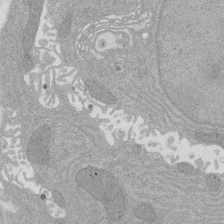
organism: Rat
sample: Salivary granule